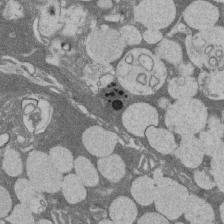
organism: Rat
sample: Salivary granule